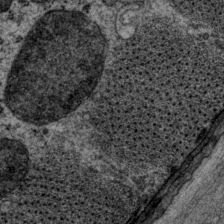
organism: P. pacificus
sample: Pharynx